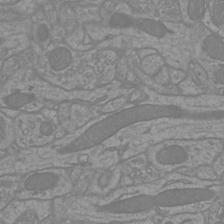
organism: Mouse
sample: Cortical neurons